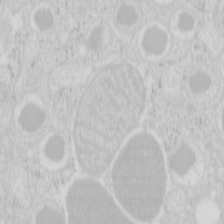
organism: Mouse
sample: Pancreas